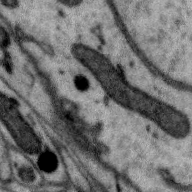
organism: Zebra finch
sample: Brain